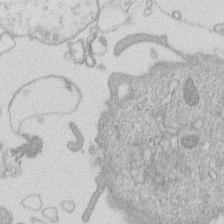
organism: Human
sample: Macrophage cells